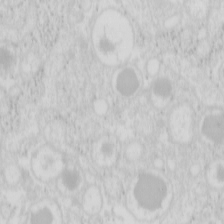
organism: Mouse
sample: Pancreas